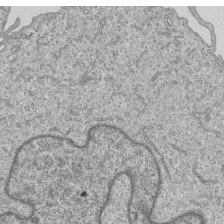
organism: Human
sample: MDA-MB-231 cells